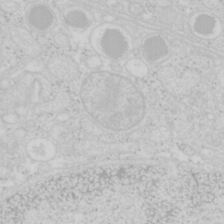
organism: Mouse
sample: Pancreas